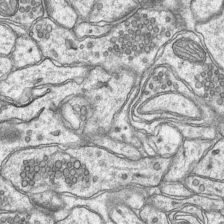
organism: Mouse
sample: CA1 Hippocampus